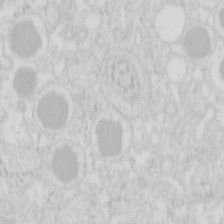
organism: Mouse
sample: Pancreas